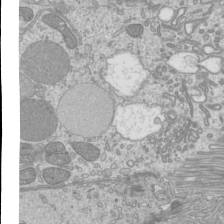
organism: Mouse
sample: Cilia; mouse epididymis